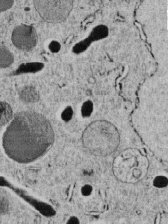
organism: C. elegans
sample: C. elegans embryo early stage